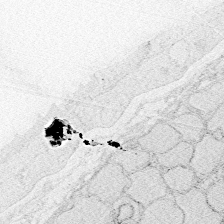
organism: Zebrafish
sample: Whole-Brain